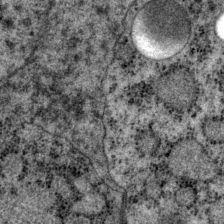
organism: P. pacificus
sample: Pharynx